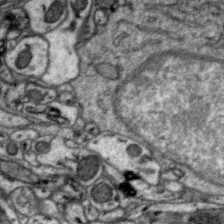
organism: Zebra finch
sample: Brain